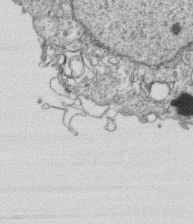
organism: Human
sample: HeLa cell HIV synapse